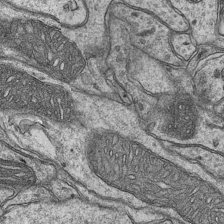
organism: Mouse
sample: CA1 Hippocampus